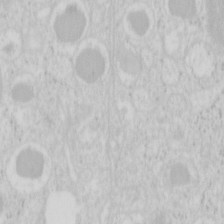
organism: Mouse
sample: Pancreas